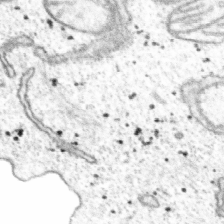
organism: Human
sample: HeLa cells